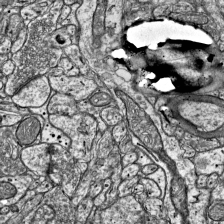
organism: Mouse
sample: Visual Cortex